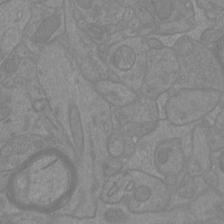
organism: Mouse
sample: Cortical neurons